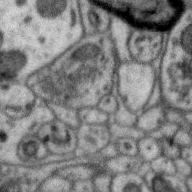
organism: Zebra finch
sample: Brain